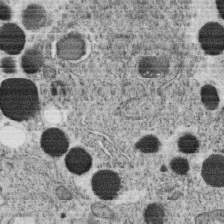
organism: C. elegans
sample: C. elegans oocyte; sperm cells